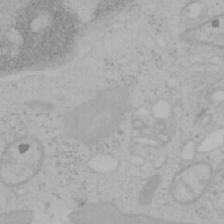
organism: Mouse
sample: OT-I killer T cells with ID8 ovarian cancer cells